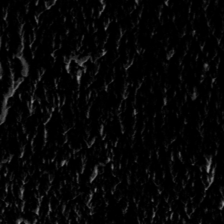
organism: Toxoplasma gondii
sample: Parasites in a vacuole inside a host cell